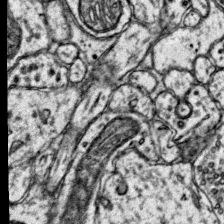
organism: Mouse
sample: Primary visual cortex